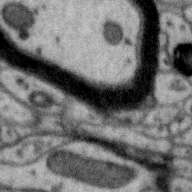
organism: Zebra finch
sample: Brain